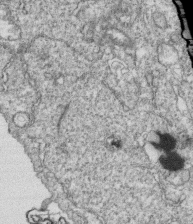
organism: Human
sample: HeLa cell HIV synapse